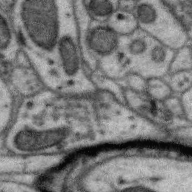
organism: Zebra finch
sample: Brain